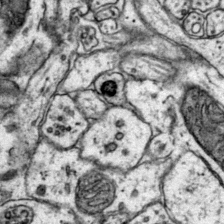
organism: Mouse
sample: Primary visual cortex